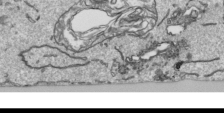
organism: Human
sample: Mitochondria in HCT116 cells